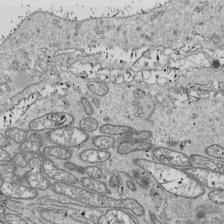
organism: Drosophila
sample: Cell division; meiosis; drosophila spermatocytes